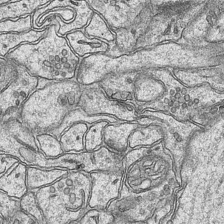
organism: Mouse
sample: CA1 Hippocampus